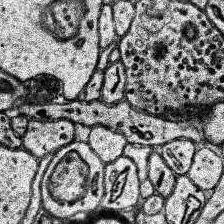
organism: Human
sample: Temporal Lobe